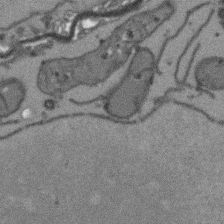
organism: Arabidopsis thaliana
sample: Root tip